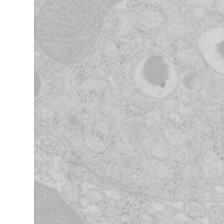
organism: Mouse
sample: Pancreas